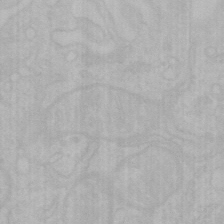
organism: Mouse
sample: Choroid plexus